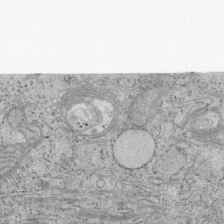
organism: Human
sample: HeLa cells